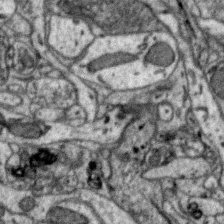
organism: Zebra finch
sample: Brain